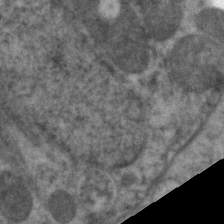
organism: C. elegans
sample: Pharynx